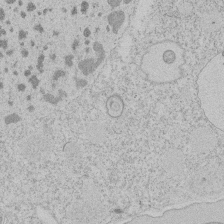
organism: Tetrahymena